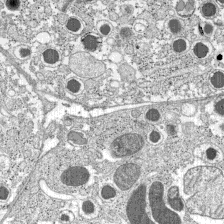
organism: C57BL Mouse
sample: Pancreatic islet